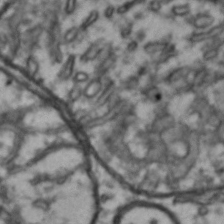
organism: Drosophila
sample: Brain